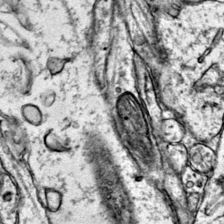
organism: Mouse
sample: Primary visual cortex